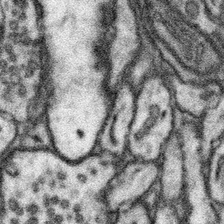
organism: Mouse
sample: Somatosensory cortex neuropil